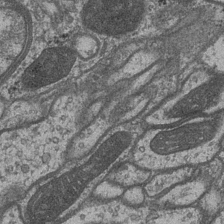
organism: Drosophila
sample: Optic medulla